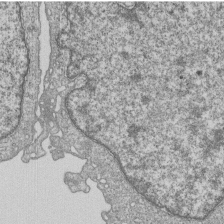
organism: Human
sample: MDA-MB-231 cells